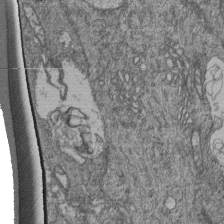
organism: Human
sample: Retinal organoid Rod and Cone cells